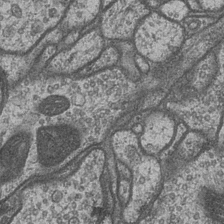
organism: Drosophila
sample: Optic medulla